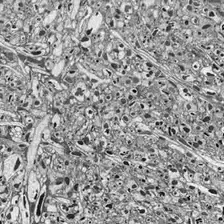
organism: Drosophila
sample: Optic lobe